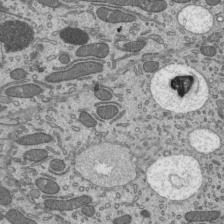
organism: Mouse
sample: Mouse epididymis efferent ductule cilia